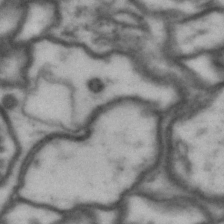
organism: Drosophila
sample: Brain